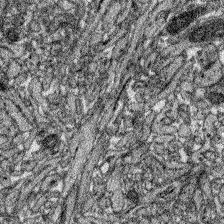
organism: Zebrafish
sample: Larval olfactory bulb